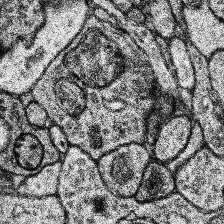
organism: Human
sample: Temporal Lobe